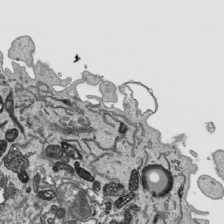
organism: Human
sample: Mitochondria in HCT116 cells